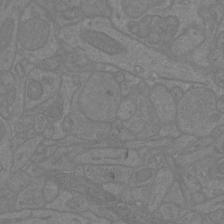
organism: Mouse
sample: Cortical neurons